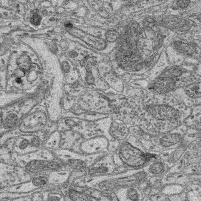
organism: Mouse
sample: Retina